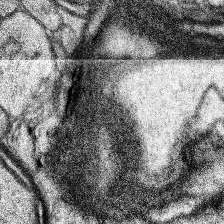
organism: Human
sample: Temporal Lobe